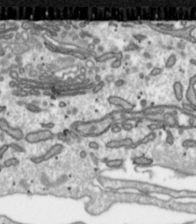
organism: Toxoplasma gondii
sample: Parasites in a vacuole inside a host cell